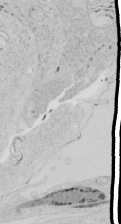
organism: Human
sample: Mitochondria in HCT116 cells